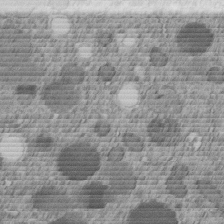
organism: C. elegans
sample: C. elegans embryo early stage